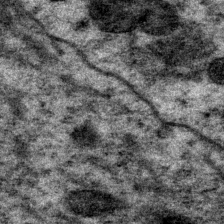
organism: P. pacificus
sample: Pharynx